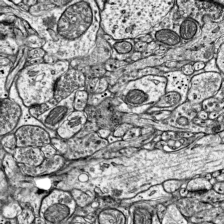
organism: Mouse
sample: Visual Cortex